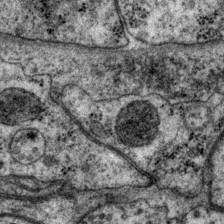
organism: P. pacificus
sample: Pharynx